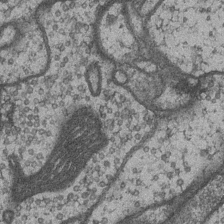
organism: Drosophila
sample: Optic medulla